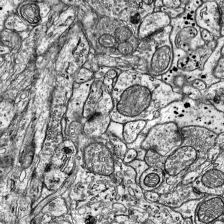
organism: Mouse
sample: Visual Cortex